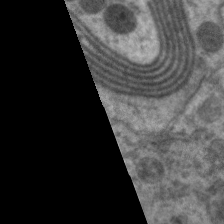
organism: C. elegans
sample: Pharynx